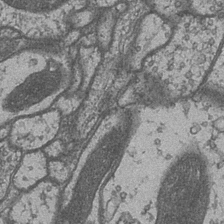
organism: Drosophila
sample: Optic medulla